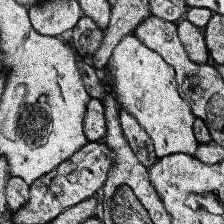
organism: Human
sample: Temporal Lobe